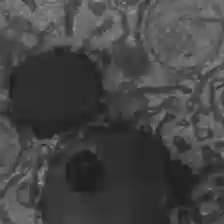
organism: C57BL Mouse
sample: Liver